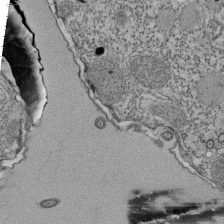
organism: Tetrahymena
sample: Cilia in tetrahymena